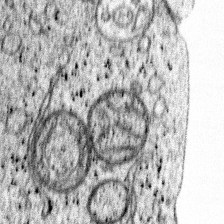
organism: Human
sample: HeLa cells